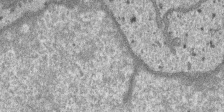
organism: Human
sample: Lung epithelial cells infected with SARS-CoV-2